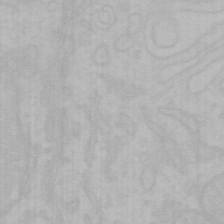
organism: Mouse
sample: Choroid plexus